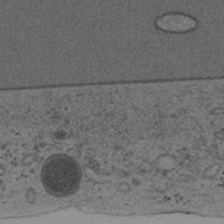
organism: Human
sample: HeLa cells